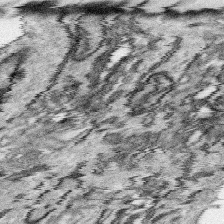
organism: Human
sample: HeLa cells